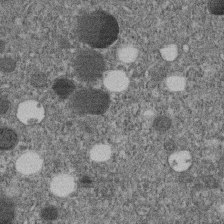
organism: C. elegans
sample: C. elegans embryo early stage